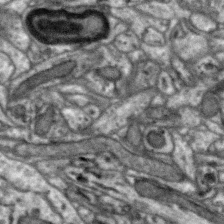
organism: Zebra finch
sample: Brain